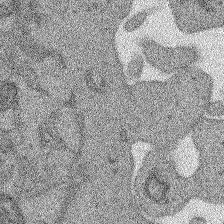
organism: Human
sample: HeLa cells